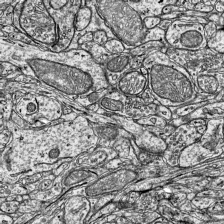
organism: Mouse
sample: Visual Cortex